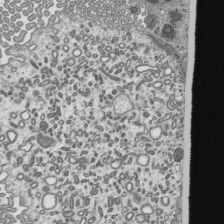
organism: Mouse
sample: Mouse epididymis efferent ductule cilia